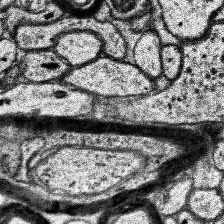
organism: Human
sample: Temporal Lobe